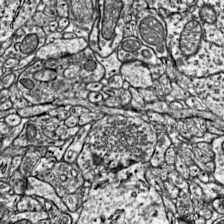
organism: Mouse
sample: Visual Cortex